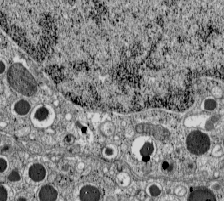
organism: C57BL Mouse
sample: Pancreatic islet